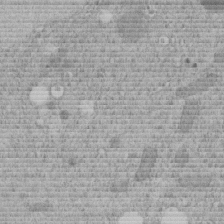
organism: C. elegans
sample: C. elegans embryo early stage